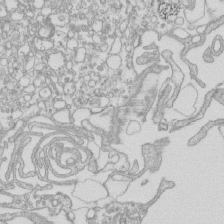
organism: Mouse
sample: Macrophages